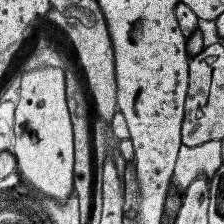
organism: Human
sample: Temporal Lobe